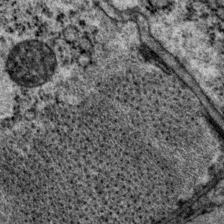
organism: P. pacificus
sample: Pharynx